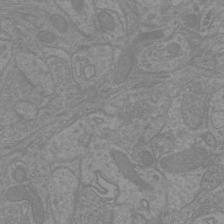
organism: Mouse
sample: Cortical neurons